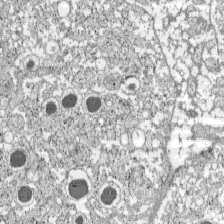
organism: C57BL Mouse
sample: Pancreatic islet